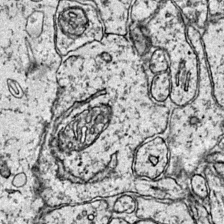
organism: Mouse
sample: Primary visual cortex